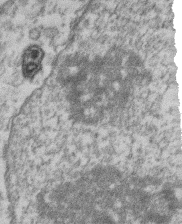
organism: Mouse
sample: T cell stromal cell synapse